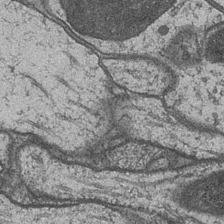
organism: Drosophila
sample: Optic medulla